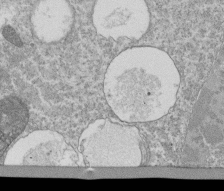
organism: Tetrahymena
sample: Cilia in tetrahymena